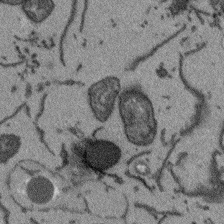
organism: Arabidopsis thaliana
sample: Root tip